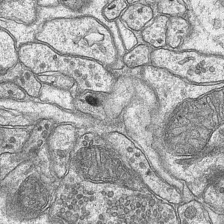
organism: Mouse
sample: CA1 Hippocampus